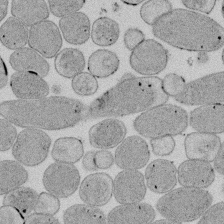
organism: E. coli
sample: Bacterial nucleoid